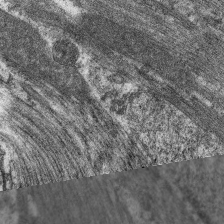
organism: C. elegans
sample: Pharynx